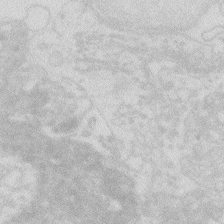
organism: Zebrafish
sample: Macrophage